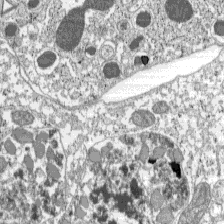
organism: C57BL Mouse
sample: Pancreatic islet